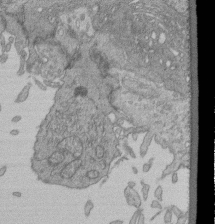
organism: Human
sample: Retinal organoid Rod and Cone cells